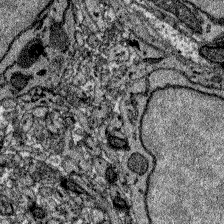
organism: Zebrafish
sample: Larval olfactory bulb